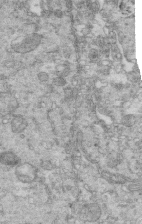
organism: Mouse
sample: Multiciliated cells